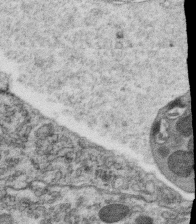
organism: C. elegans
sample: C. elegans oocyte; sperm cells